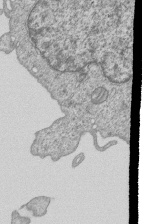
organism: Human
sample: MDA-MB-231 cells